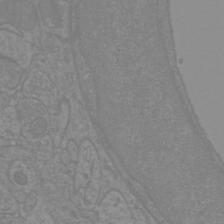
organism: Mouse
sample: Cortical neurons